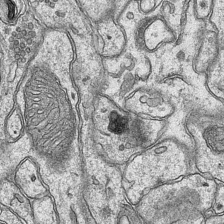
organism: Mouse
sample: CA1 Hippocampus